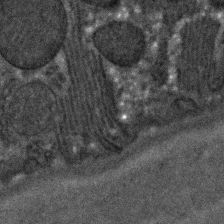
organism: C. elegans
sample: C. elegans embryo